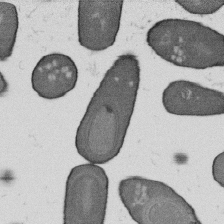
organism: B. subtilis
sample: Bacterial spore